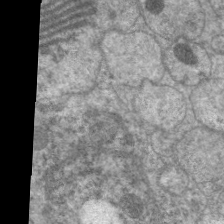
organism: C. elegans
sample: Pharynx